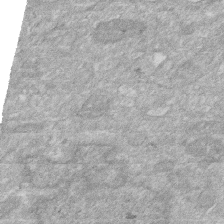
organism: Human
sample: HIV infected U937 cells